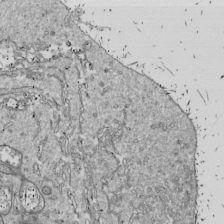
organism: Drosophila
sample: Cell division; meiosis; drosophila spermatocytes